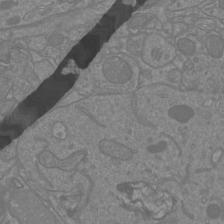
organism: Mouse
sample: Cortical neurons